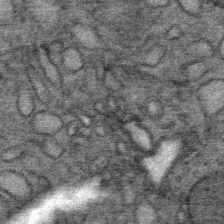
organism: Mouse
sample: Mouse Salivary gland